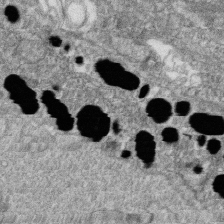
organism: Zebrafish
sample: Cilia; retinal pigment epithelium